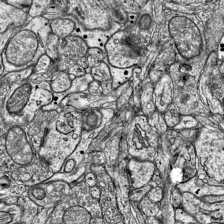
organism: Mouse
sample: Visual Cortex